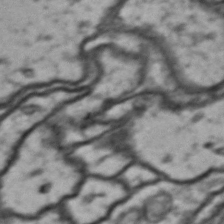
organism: Drosophila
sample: Brain